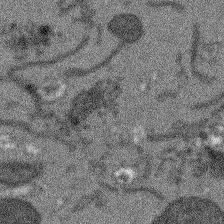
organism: Arabidopsis thaliana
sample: Root tip